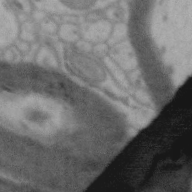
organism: Zebra finch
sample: Brain